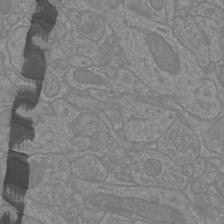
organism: Mouse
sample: Cortical neurons